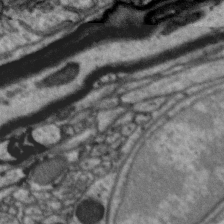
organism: Zebra finch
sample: Brain